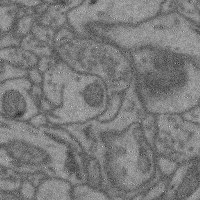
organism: Mouse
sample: Cerebral cortex